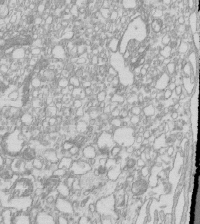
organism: Mouse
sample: Macrophages